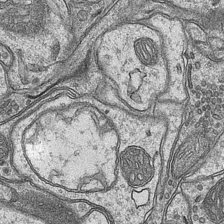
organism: Mouse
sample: CA1 Hippocampus